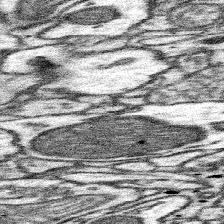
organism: Mouse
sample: Somatosensory cortex neuropil